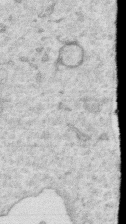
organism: Human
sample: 1205lu cells